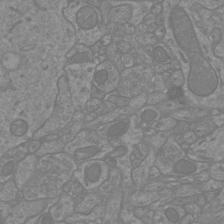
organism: Mouse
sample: Cortical neurons